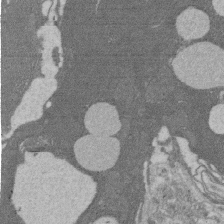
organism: Rat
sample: Salivary granule